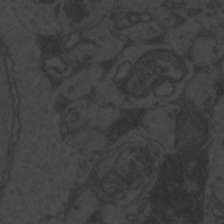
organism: Zebrafish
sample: Macrophage infected with Toxoplasma gondii